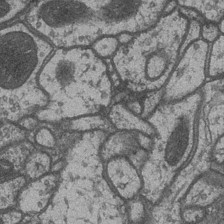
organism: Drosophila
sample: Optic medulla